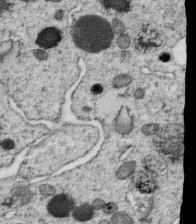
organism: C. elegans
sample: C. elegans oocyte; sperm cells